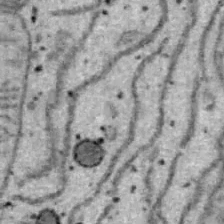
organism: Mouse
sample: Liver from an obese (ob/ob) mouse